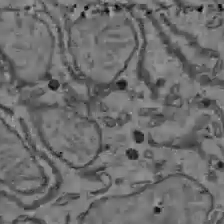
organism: C57BL Mouse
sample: Liver